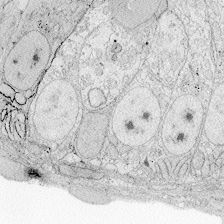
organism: Zebrafish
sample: Whole-Brain